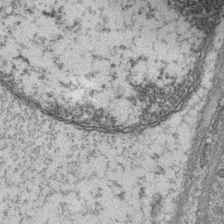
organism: Mouse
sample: CA1 Hippocampus